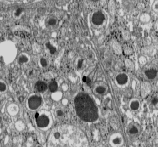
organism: C57BL Mouse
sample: Pancreatic islet